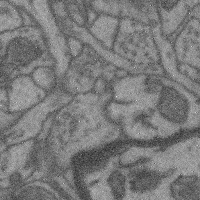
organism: Mouse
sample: Cerebral cortex